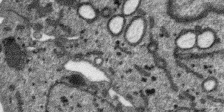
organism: Human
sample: Lung epithelial cells infected with SARS-CoV-2